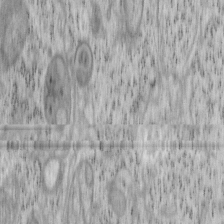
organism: Human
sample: HeLa cells